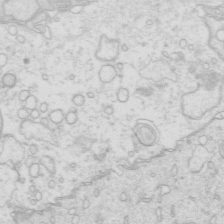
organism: Mouse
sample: Multiciliated cells